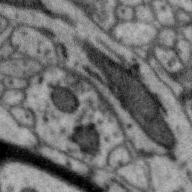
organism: Zebra finch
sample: Brain